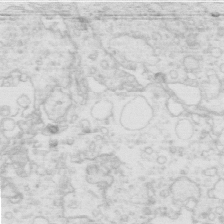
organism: Mouse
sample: Multiciliated cells